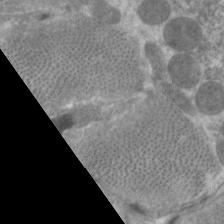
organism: C. elegans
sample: Pharynx